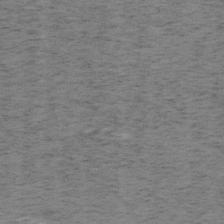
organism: Mouse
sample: OT-I killer T cells with ID8 ovarian cancer cells